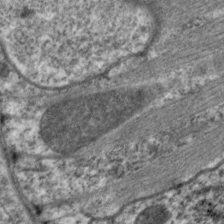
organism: C. elegans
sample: Pharynx